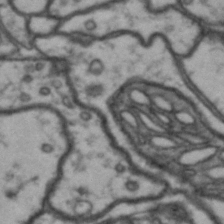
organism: Drosophila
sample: Brain